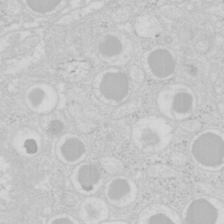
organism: Mouse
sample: Pancreas